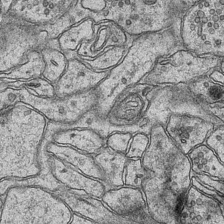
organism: Mouse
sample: CA1 Hippocampus